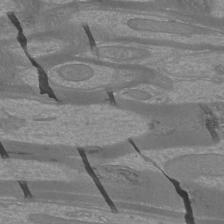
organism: Mouse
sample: Cortical neurons